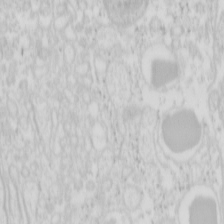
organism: Mouse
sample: Pancreas